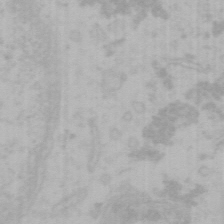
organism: Mouse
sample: Choroid plexus